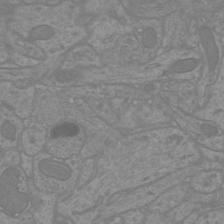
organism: Mouse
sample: Cortical neurons